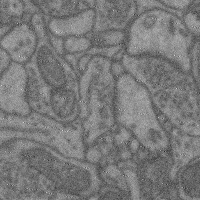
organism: Mouse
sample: Cerebral cortex